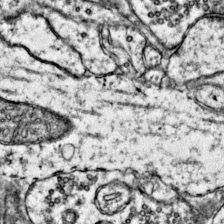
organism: Mouse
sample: Primary visual cortex